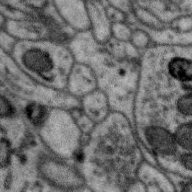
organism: Zebra finch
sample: Brain